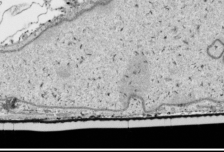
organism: Human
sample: Mitochondria in HCT116 cells